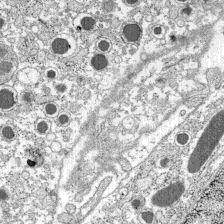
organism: C57BL Mouse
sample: Pancreatic islet